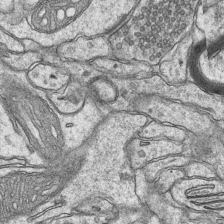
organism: Mouse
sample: CA1 Hippocampus